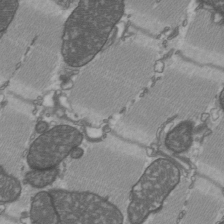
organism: C57BL Mouse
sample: Heart